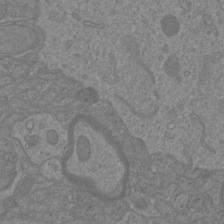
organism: Mouse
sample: Cortical neurons